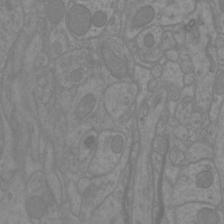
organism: Mouse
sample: Cortical neurons